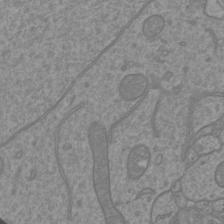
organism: Mouse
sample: Cortical neurons